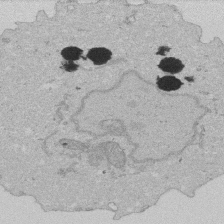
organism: Human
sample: Activated Jurkat CD4+ T cells